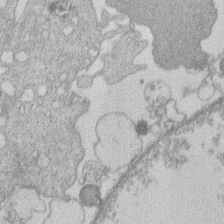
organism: Human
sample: Macrophage cells